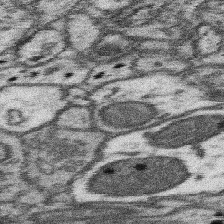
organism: Mouse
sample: Somatosensory cortex neuropil